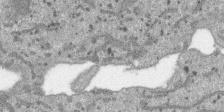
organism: Human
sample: Lung epithelial cells infected with SARS-CoV-2